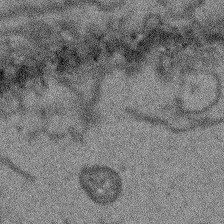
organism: Arabidopsis thaliana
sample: Root tip